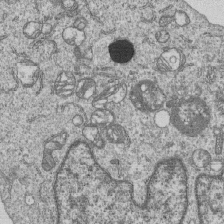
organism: Human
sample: MDA-MB-231 cells